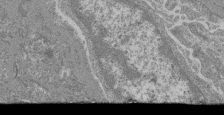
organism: Mouse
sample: Glomerulus